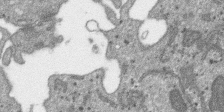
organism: Human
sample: Lung epithelial cells infected with SARS-CoV-2